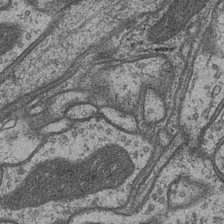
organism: Drosophila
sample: Optic medulla